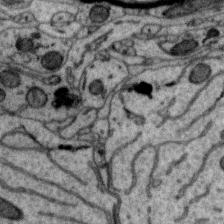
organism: Zebra finch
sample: Brain